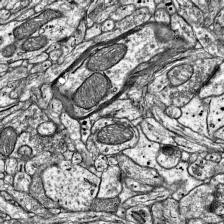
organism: Mouse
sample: Visual Cortex